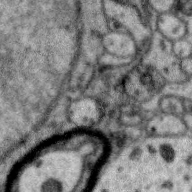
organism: Zebra finch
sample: Brain